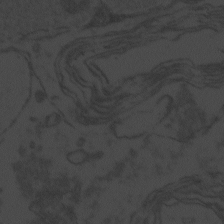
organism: Zebrafish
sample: Macrophage infected with Toxoplasma gondii